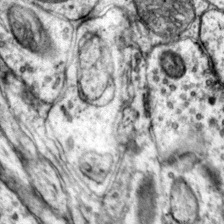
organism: Mouse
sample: Primary visual cortex